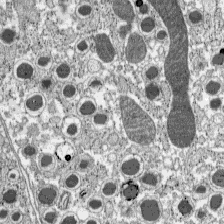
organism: C57BL Mouse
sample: Pancreatic islet